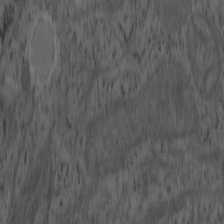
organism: Human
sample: HeLa cells